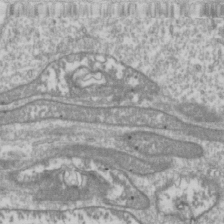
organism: Drosophila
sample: Cell division; meiosis; drosophila spermatocytes